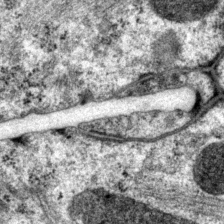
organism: P. pacificus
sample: Pharynx